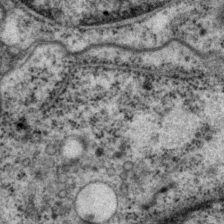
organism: P. pacificus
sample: Pharynx